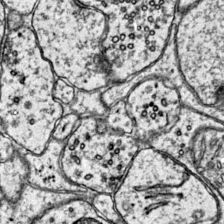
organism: Mouse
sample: Primary visual cortex